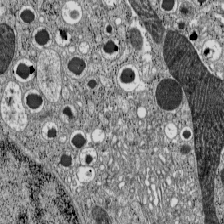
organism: C57BL Mouse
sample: Pancreatic islet